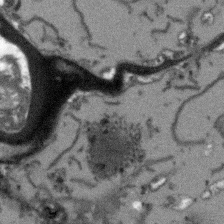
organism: Arabidopsis thaliana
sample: Root tip